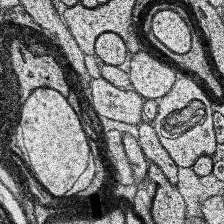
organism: Human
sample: Temporal Lobe